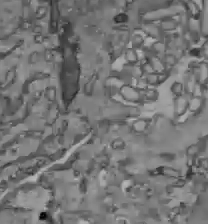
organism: C57BL Mouse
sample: Liver